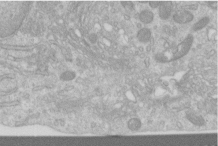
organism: Human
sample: Centriole in RPE cells